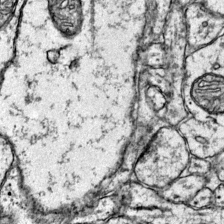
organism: Mouse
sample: Primary visual cortex